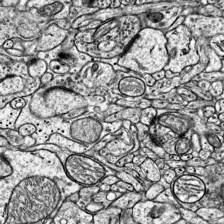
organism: Mouse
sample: Visual Cortex